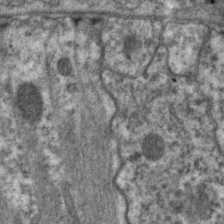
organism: C. elegans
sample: Pharynx